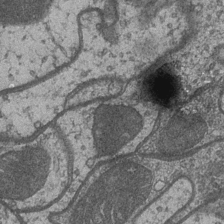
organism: Drosophila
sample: Optic medulla